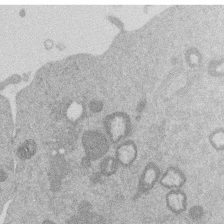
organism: Mouse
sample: Dividing mouse embryo 1 cell stage